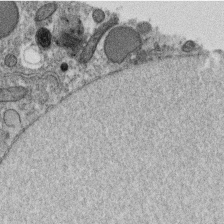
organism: C. elegans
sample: C. elegans oocyte; sperm cells